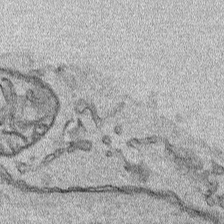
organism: Human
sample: Mitochondria in HCT116 cells